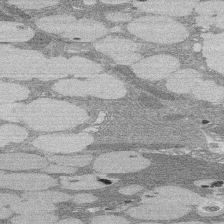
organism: Rat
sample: Salivary granule